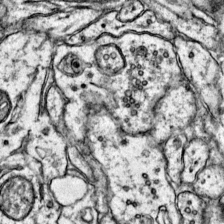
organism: Mouse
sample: Primary visual cortex